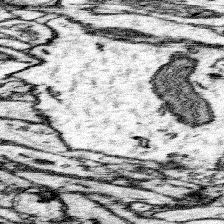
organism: Mouse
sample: Somatosensory cortex neuropil